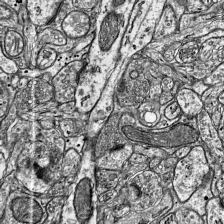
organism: Mouse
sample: Visual Cortex